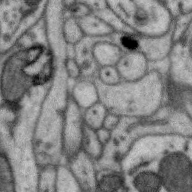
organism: Zebra finch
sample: Brain